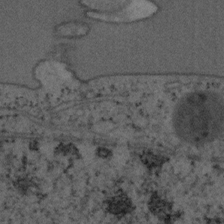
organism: Human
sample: HeLa cells